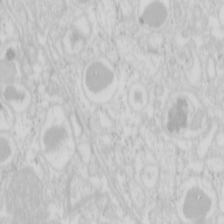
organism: Mouse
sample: Pancreas